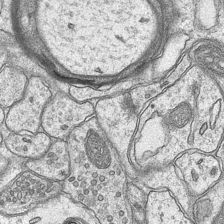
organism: Mouse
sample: CA1 Hippocampus